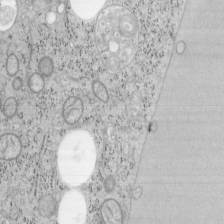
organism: Mouse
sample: OT-I killer T cells with ID8 ovarian cancer cells